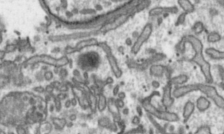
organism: Toxoplasma gondii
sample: Parasites in a vacuole inside a host cell